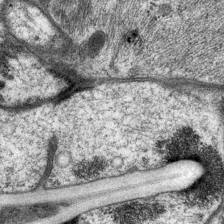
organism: P. pacificus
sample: Pharynx